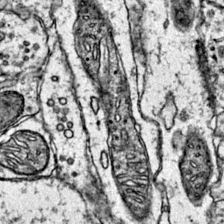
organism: Mouse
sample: Primary visual cortex